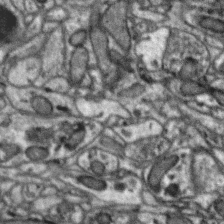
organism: Zebra finch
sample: Brain